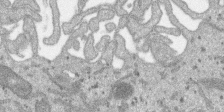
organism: Human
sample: Lung epithelial cells infected with SARS-CoV-2